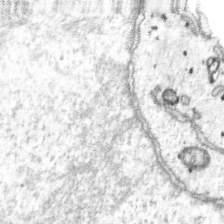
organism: Human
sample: HeLa cells